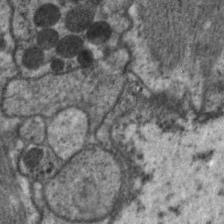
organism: C. elegans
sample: Pharynx